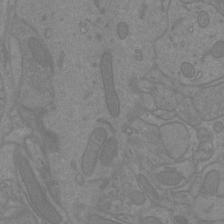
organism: Mouse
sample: Cortical neurons